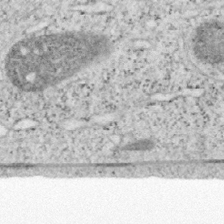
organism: Mouse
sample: OT-I killer T cells with ID8 ovarian cancer cells